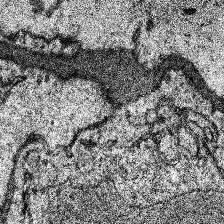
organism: Human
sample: Temporal Lobe